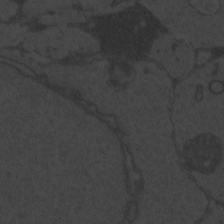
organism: Zebrafish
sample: Macrophage infected with Toxoplasma gondii